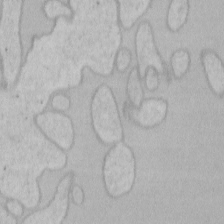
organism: Human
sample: HeLa cells